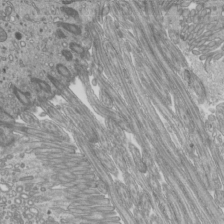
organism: Mouse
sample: Cilia; mouse epididymis